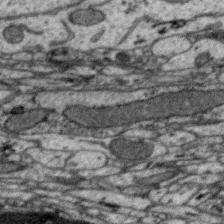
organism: Zebra finch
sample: Brain